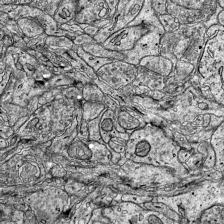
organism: Mouse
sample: Visual Cortex